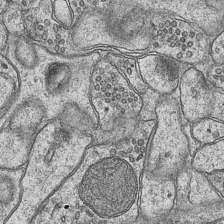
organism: Mouse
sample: CA1 Hippocampus